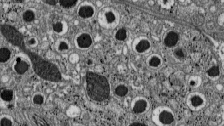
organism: C57BL Mouse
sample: Pancreatic islet